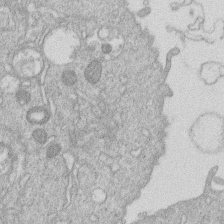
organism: Human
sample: Macrophage cells